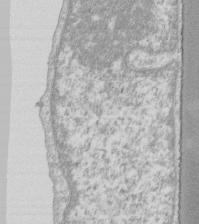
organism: Human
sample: Fibroblast cells